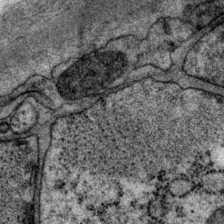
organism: P. pacificus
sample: Pharynx